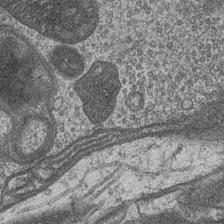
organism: Drosophila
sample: Optic medulla